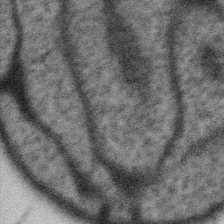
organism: Gemmata obscuriglobus